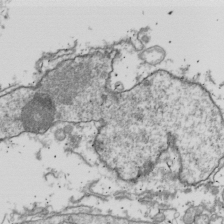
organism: Drosophila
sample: Cell division; meiosis; drosophila spermatocytes